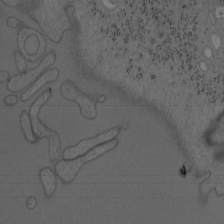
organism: Mouse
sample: OT-I killer T cells with ID8 ovarian cancer cells